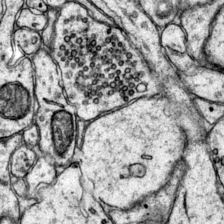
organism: Mouse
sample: Primary visual cortex